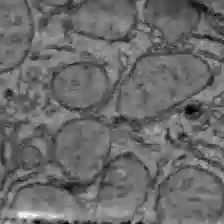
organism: C57BL Mouse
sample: Liver